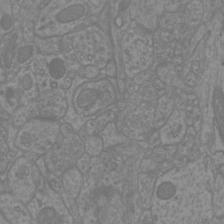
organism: Mouse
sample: Cortical neurons